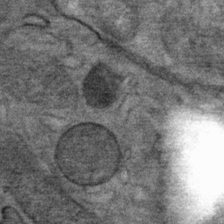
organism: Mouse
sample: Mouse Salivary gland